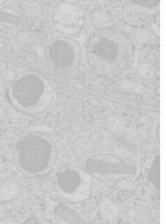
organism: Mouse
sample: Pancreas